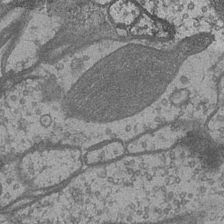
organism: Drosophila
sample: Optic medulla